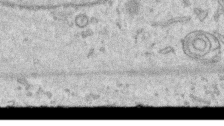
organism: Human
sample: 1205lu cells